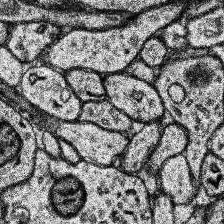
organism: Human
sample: Temporal Lobe